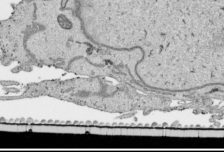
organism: Human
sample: Mitochondria in HCT116 cells